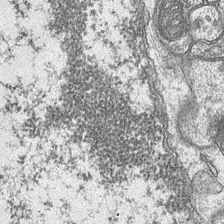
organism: Mouse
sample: CA1 Hippocampus